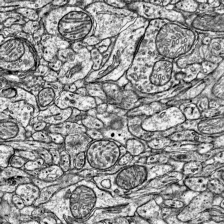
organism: Mouse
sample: Visual Cortex